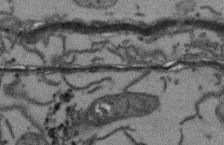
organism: Arabidopsis thaliana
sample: Root tip